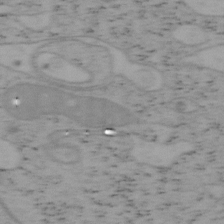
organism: Mouse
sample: OT-I killer T cells with ID8 ovarian cancer cells